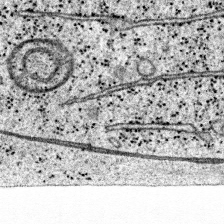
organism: Human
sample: HeLa cells